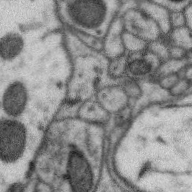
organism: Zebra finch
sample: Brain